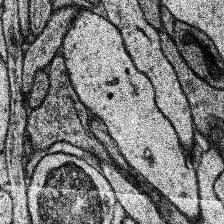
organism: Human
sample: Temporal Lobe